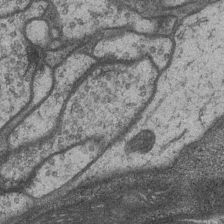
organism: Drosophila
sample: Optic medulla